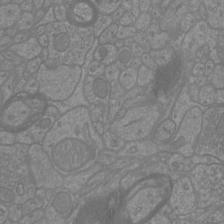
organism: Mouse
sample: Cortical neurons